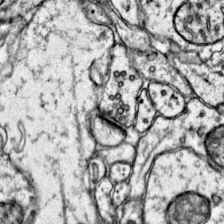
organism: Mouse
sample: Primary visual cortex